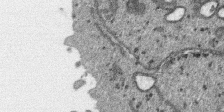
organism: Human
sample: Lung epithelial cells infected with SARS-CoV-2